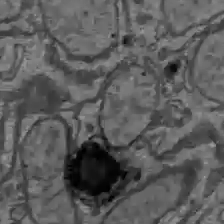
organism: C57BL Mouse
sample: Liver